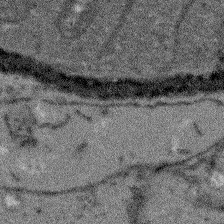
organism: Arabidopsis thaliana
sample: Root tip